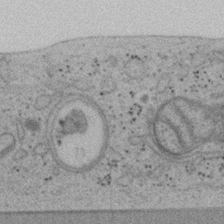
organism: Human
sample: HeLa cells